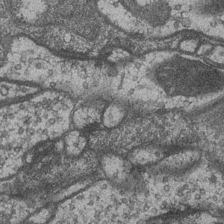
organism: Drosophila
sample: Optic medulla